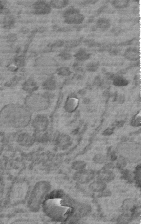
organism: C. elegans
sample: C. elegans embryo early stage